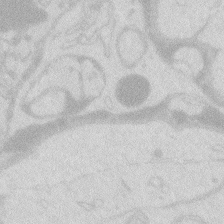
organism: Zebrafish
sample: Macrophage